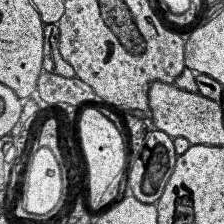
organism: Human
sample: Temporal Lobe